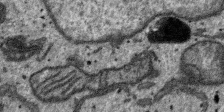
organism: Human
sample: Lung epithelial cells, uninfected (mock) control